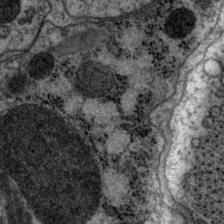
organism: P. pacificus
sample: Pharynx